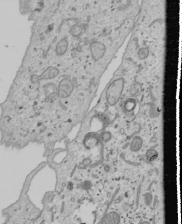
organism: Human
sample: Mitochondria in U2OS cells